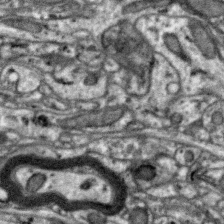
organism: Zebra finch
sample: Brain